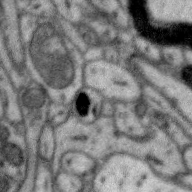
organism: Zebra finch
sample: Brain